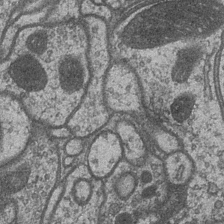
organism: Drosophila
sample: Optic medulla